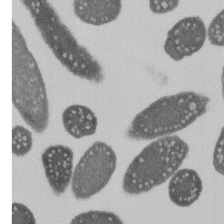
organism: E. coli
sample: Bacterial nucleoid